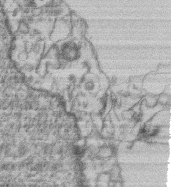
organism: Mouse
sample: T cell stromal cell synapse